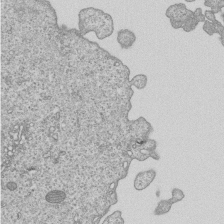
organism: Human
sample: MDA-MB-231 cells